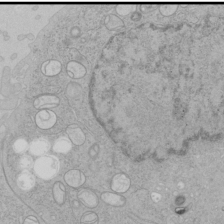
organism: Human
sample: Mitochondria in HCT116 cells